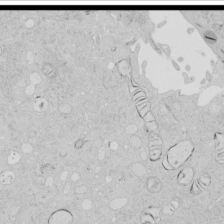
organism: Human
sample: Mitochondria in HCT116 cells